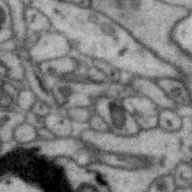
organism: Zebra finch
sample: Brain